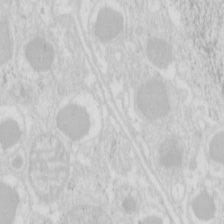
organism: Mouse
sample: Pancreas